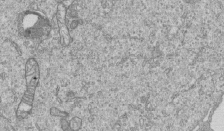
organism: Human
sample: MDA-MB-231 cells